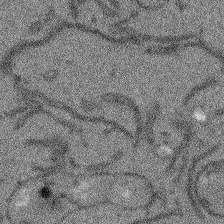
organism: Arabidopsis thaliana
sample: Root tip